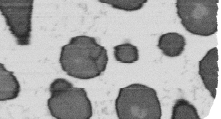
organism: B. subtilis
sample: Bacterial spore